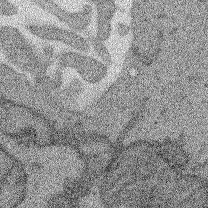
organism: Human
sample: HeLa cells